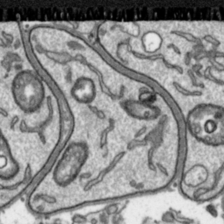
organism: Toxoplasma gondii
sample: Parasites in a vacuole inside a host cell